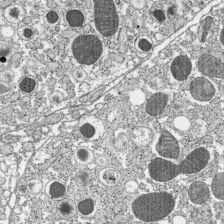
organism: C57BL Mouse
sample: Pancreatic islet